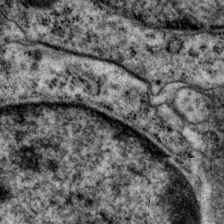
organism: P. pacificus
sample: Pharynx